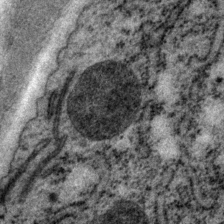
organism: P. pacificus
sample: Pharynx